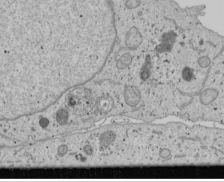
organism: Human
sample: Mitochondria in U2OS cells